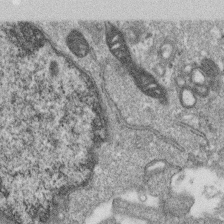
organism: African green monkey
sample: Vero E6 cells infected with SARS-CoV-2